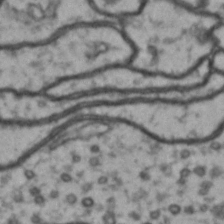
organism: Drosophila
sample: Brain